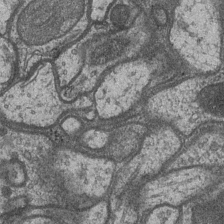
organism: Drosophila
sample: Optic medulla